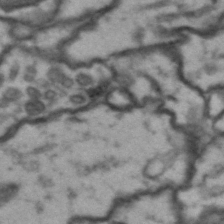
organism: Drosophila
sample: Brain